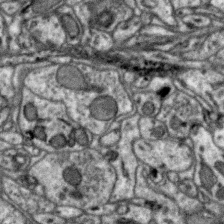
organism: Zebra finch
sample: Brain